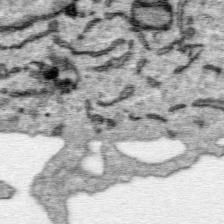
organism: Human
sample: HeLa cells